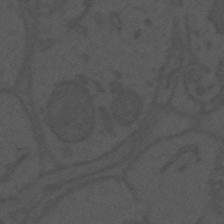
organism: Mouse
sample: Suprachiasmatic nucleus